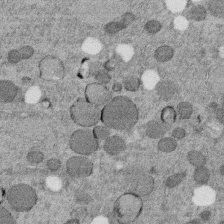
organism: C. elegans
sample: C. elegans embryo early stage